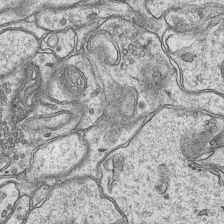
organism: Mouse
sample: CA1 Hippocampus